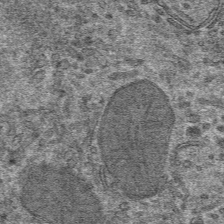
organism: Mouse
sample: Mouse hepatocytes